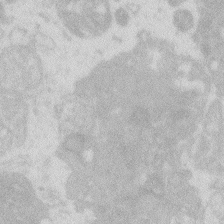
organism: Zebrafish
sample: Macrophage